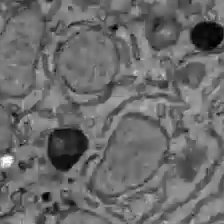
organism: C57BL Mouse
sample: Liver